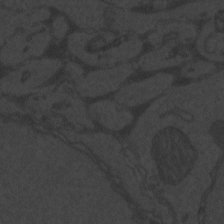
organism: Zebrafish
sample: Macrophage infected with Toxoplasma gondii